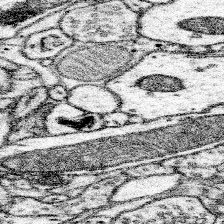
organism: Mouse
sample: Somatosensory cortex neuropil